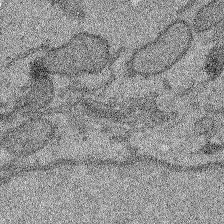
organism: Human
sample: HeLa cells